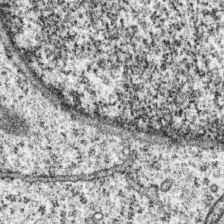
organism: Human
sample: HeLa cells